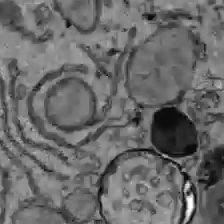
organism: C57BL Mouse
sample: Liver